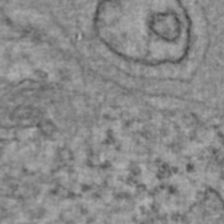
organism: Human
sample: Blood